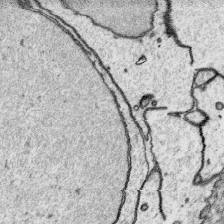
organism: Platynereis dumerilii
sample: Parapodia